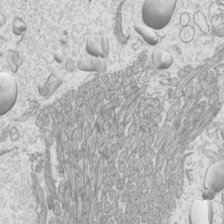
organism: Mouse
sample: Cilia; mouse epididymis